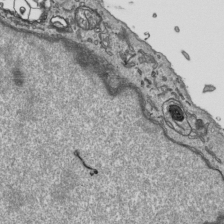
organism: Human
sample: Mitochondria in HCT116 cells